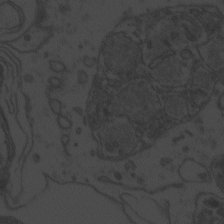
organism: Zebrafish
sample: Macrophage infected with Toxoplasma gondii